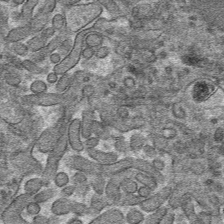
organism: Mouse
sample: Mouse hepatocytes